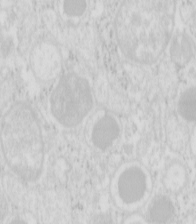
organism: Mouse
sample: Pancreas